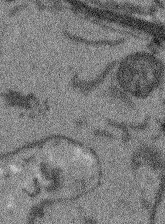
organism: Arabidopsis thaliana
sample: Root tip